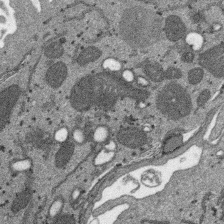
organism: Human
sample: Lung epithelial cells infected with SARS-CoV-2